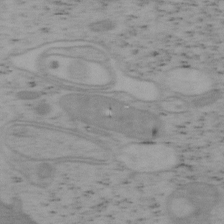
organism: Mouse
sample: OT-I killer T cells with ID8 ovarian cancer cells